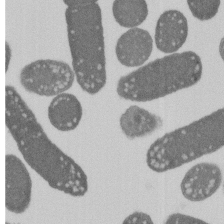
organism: E. coli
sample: Bacterial nucleoid